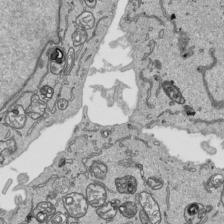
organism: Human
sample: Mitochondria in HCT116 cells